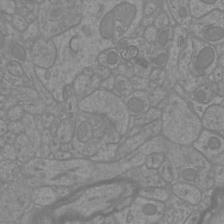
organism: Mouse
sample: Cortical neurons